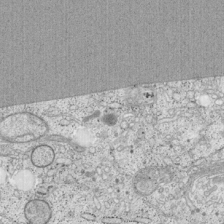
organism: African green monkey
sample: COS-7 cells